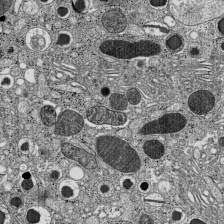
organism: C57BL Mouse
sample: Pancreatic islet